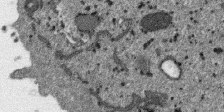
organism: Human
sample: Lung epithelial cells infected with SARS-CoV-2